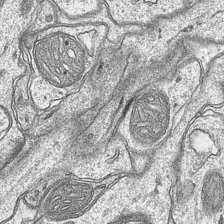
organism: Mouse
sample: CA1 Hippocampus